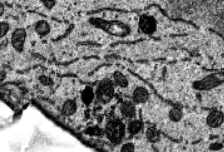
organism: Human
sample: HeLa cells